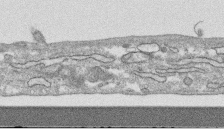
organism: Human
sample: CRL-1474